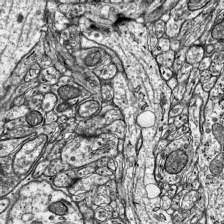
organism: Mouse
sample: Visual Cortex